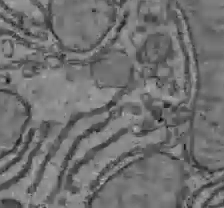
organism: C57BL Mouse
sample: Liver